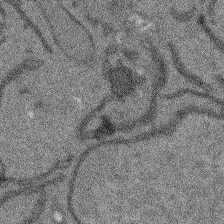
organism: Arabidopsis thaliana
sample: Root tip